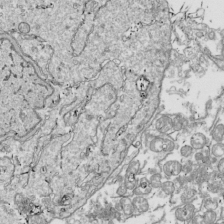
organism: Drosophila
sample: Cell division; meiosis; drosophila spermatocytes